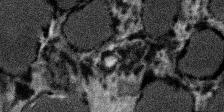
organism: Human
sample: Lung epithelial cells infected with SARS-CoV-2